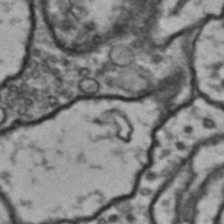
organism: Drosophila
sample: Brain